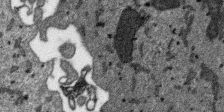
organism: Human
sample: Lung epithelial cells infected with SARS-CoV-2